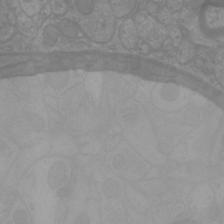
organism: Mouse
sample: Cortical neurons